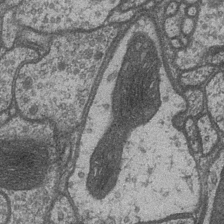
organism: Drosophila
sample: Optic medulla